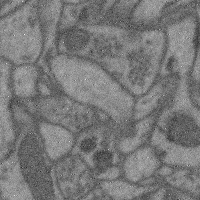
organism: Mouse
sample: Cerebral cortex